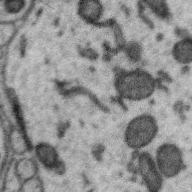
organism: Zebra finch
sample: Brain